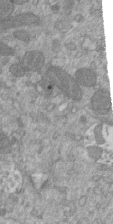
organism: Mouse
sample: ED-1 cell nuclei; centrioles